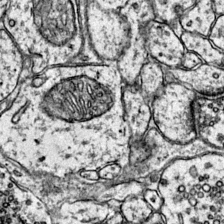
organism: Mouse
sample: Primary visual cortex